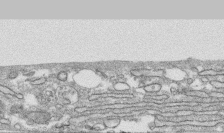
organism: Human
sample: CRL-1474